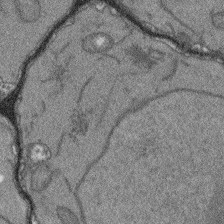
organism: Arabidopsis thaliana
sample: Root tip